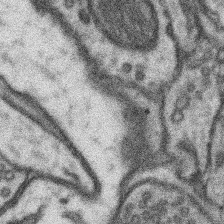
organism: Mouse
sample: Somatosensory cortex neuropil